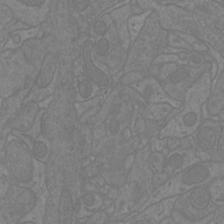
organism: Mouse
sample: Cortical neurons